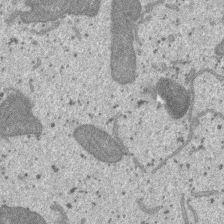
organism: Human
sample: Lung epithelial cells infected with SARS-CoV-2